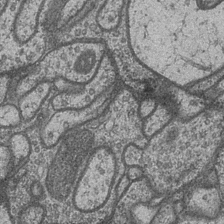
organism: Drosophila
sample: Optic medulla